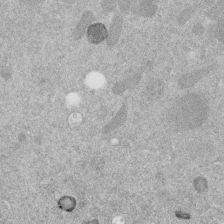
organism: C. elegans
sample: C. elegans embryo early stage